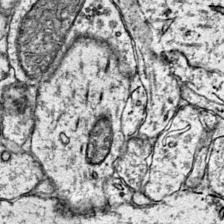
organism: Mouse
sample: Primary visual cortex